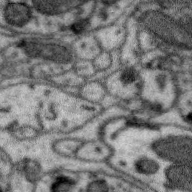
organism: Zebra finch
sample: Brain